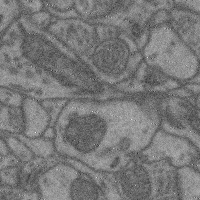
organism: Mouse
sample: Cerebral cortex